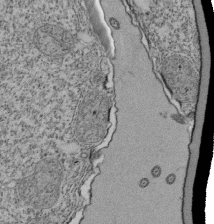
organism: Tetrahymena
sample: Cilia in tetrahymena